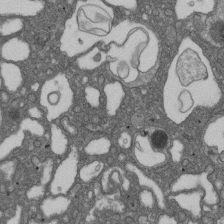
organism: Drosophila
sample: Nephrocyte